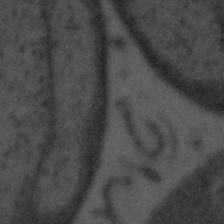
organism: Tuwongella immobilis